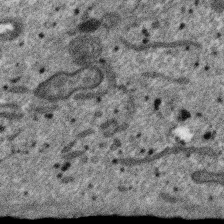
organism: Human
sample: Lung epithelial cells infected with SARS-CoV-2